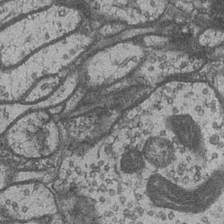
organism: Drosophila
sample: Optic medulla